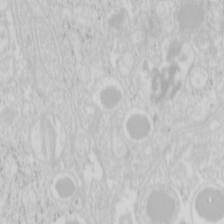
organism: Mouse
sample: Pancreas